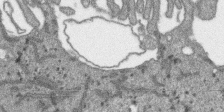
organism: Human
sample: Lung epithelial cells infected with SARS-CoV-2